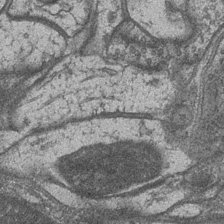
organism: Drosophila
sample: Optic medulla